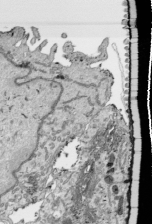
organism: Human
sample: Mitochondria in HCT116 cells